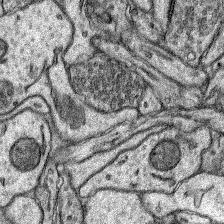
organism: Rat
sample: Hippocampus